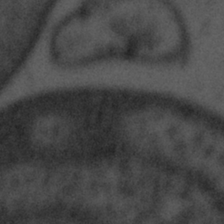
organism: Tuwongella immobilis